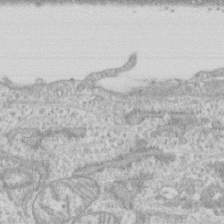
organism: Human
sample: CRL-1474